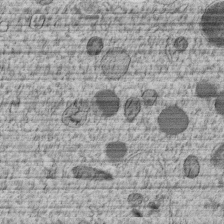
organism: C. elegans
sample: C. elegans embryo early stage